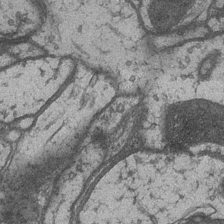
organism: Drosophila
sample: Optic medulla